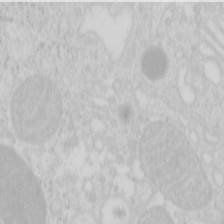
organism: Mouse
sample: Pancreas